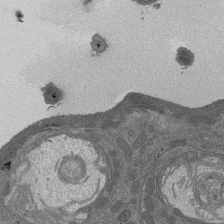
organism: Drosophila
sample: Antenna